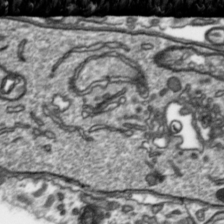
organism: Toxoplasma gondii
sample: Parasites in a vacuole inside a host cell